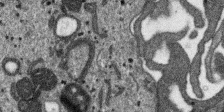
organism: Human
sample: Lung epithelial cells infected with SARS-CoV-2